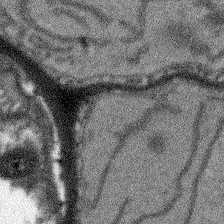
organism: Arabidopsis thaliana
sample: Root tip